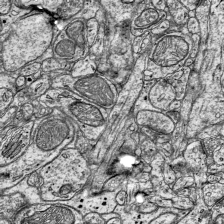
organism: Mouse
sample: Visual Cortex